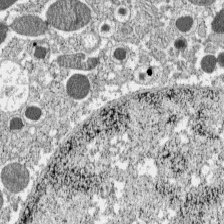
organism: C57BL Mouse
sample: Pancreatic islet